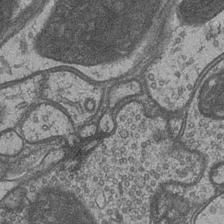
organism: Drosophila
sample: Optic medulla